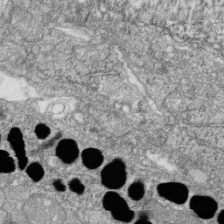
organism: Zebrafish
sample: Cilia; retinal pigment epithelium